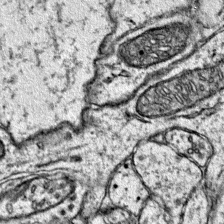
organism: Mouse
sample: Primary visual cortex